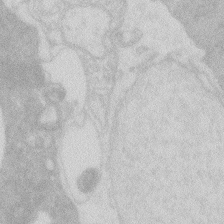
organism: Zebrafish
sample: Macrophage